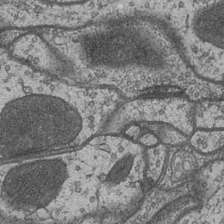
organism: Drosophila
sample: Optic medulla